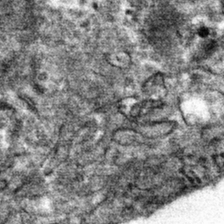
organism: Mouse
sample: Mouse hepatocytes